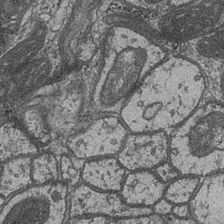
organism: Drosophila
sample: Optic medulla